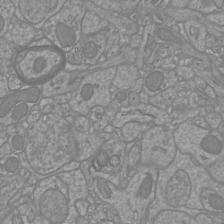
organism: Mouse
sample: Cortical neurons